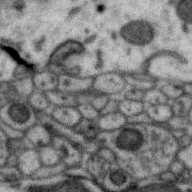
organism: Zebra finch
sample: Brain